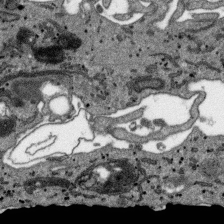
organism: Human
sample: Lung epithelial cells, uninfected (mock) control